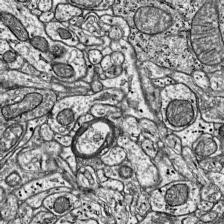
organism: Mouse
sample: Visual Cortex